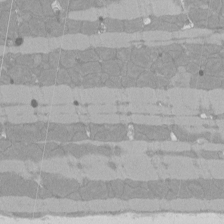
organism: Rat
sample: Left ventricle